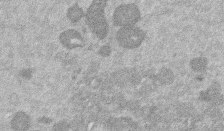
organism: Mouse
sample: Dividing mouse embryo 1 cell stage